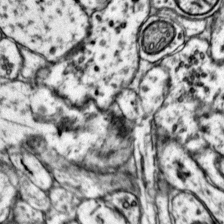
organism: Mouse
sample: Primary visual cortex